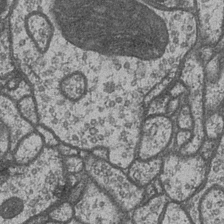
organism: Drosophila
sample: Optic medulla